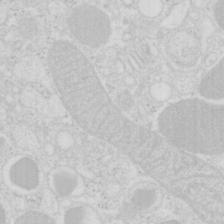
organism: Mouse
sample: Pancreas